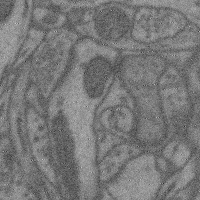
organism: Mouse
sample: Cerebral cortex